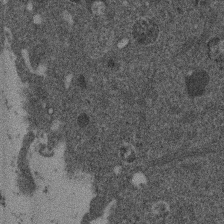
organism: Mouse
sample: Dividing mouse embryo 1 cell stage